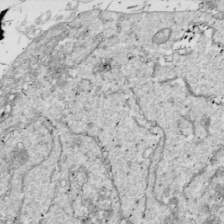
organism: Drosophila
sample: Cell division; meiosis; drosophila spermatocytes